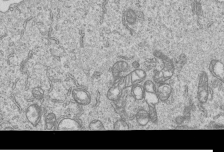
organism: Human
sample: MDA-MB-231 cells